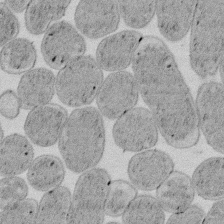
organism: E. coli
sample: Bacterial nucleoid